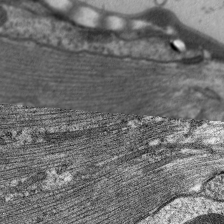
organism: C. elegans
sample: Pharynx